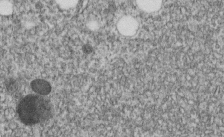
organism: C. elegans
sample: C. elegans embryo early stage